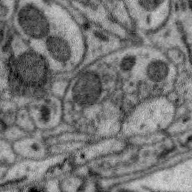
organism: Zebra finch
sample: Brain